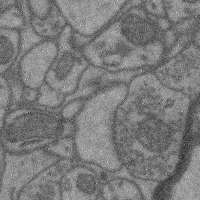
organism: Mouse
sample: Cerebral cortex